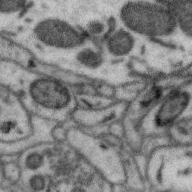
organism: Zebra finch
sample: Brain